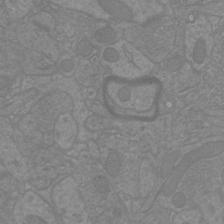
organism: Mouse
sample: Cortical neurons